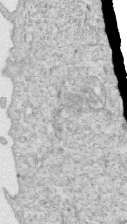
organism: Human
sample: HeLa cell HIV synapse